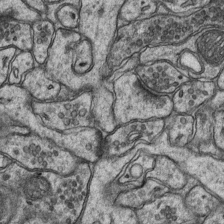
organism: Mouse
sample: CA1 Hippocampus